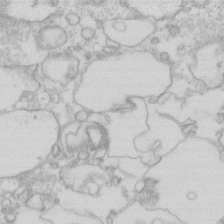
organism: Human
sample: Fibroblast cells